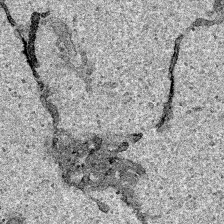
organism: Human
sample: Mitochondria in HCT116 cells